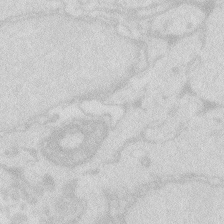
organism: Zebrafish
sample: Macrophage